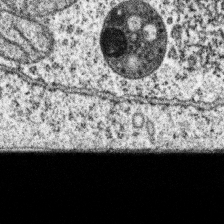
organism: Human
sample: HeLa cells